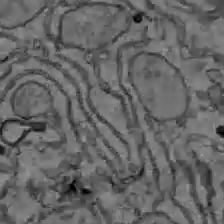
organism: C57BL Mouse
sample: Liver